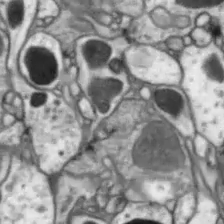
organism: Drosophila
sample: Optic lobe